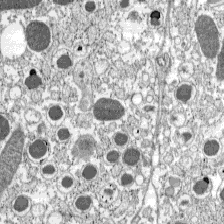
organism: C57BL Mouse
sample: Pancreatic islet